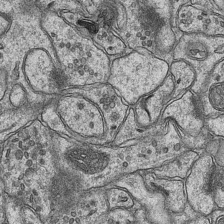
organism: Mouse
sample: CA1 Hippocampus